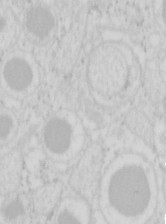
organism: Mouse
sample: Pancreas